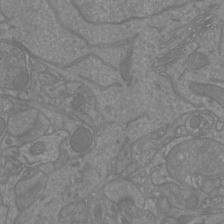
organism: Mouse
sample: Cortical neurons